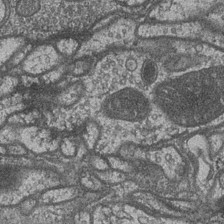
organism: Drosophila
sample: Optic medulla